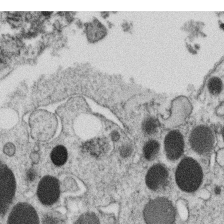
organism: C. elegans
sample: C. elegans oocyte; sperm cells